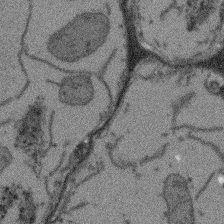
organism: Arabidopsis thaliana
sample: Root tip